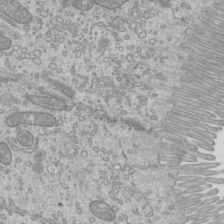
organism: Mouse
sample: Cilia; mouse epididymis